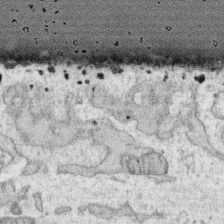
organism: Human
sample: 1205lu cells